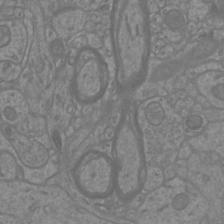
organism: Mouse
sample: Cortical neurons